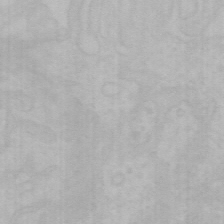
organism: Mouse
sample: Choroid plexus